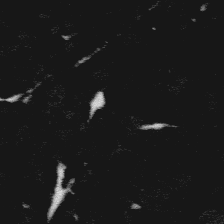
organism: Platynereis dumerilii